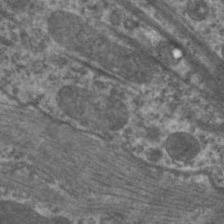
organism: C. elegans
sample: Pharynx